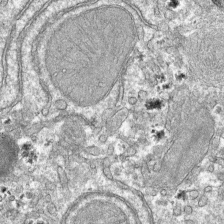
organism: Mouse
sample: Mouse hepatocytes